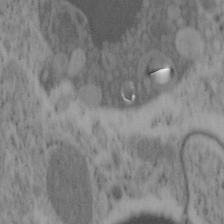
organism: Mouse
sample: OT-I killer T cells with ID8 ovarian cancer cells